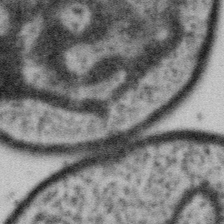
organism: Gemmata obscuriglobus